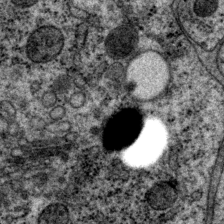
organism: P. pacificus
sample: Pharynx